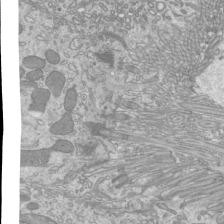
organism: Mouse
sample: Cilia; mouse epididymis